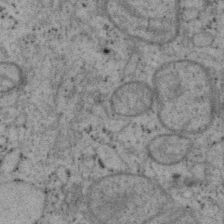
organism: Human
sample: HeLa cells